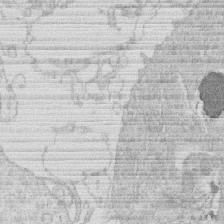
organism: Human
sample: Macrophage cells